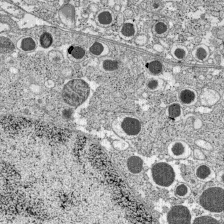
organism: C57BL Mouse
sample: Pancreatic islet